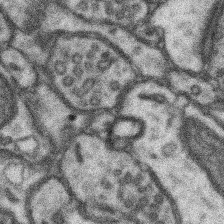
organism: Mouse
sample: Somatosensory cortex neuropil